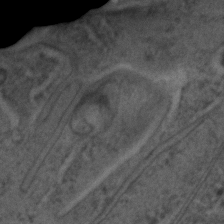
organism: C. elegans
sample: C. elegans embryo